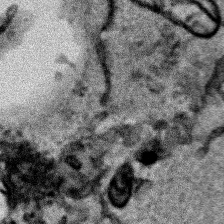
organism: Human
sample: Mitochondria in HCT116 cells